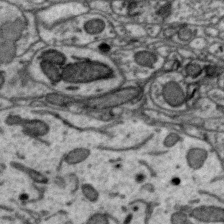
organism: Zebra finch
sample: Brain